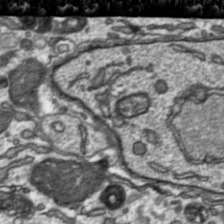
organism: Toxoplasma gondii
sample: Parasites in a vacuole inside a host cell